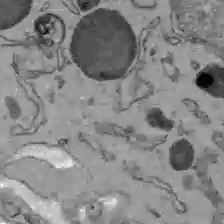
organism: C57BL Mouse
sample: Liver